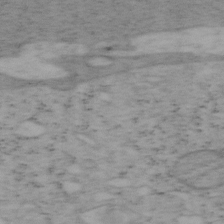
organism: Mouse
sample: OT-I killer T cells with ID8 ovarian cancer cells